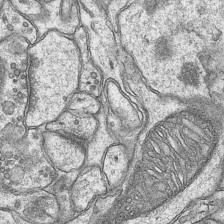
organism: Mouse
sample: CA1 Hippocampus